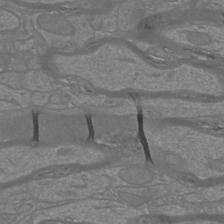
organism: Mouse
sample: Cortical neurons